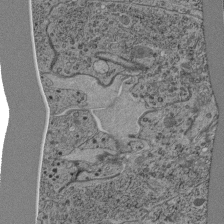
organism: C. elegans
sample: C. elegans pharynx